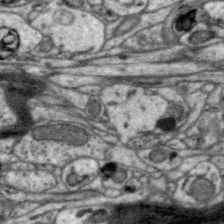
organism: Zebra finch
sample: Brain